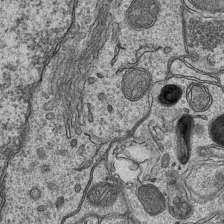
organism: Mouse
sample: CA1 Hippocampus